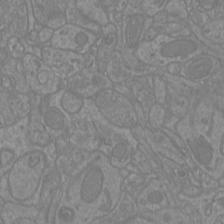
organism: Mouse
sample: Cortical neurons